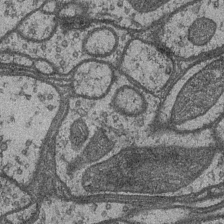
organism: Drosophila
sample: Optic medulla